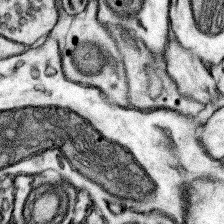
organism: Mouse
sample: Somatosensory cortex neuropil